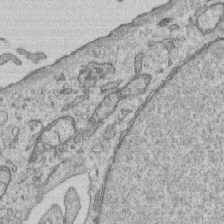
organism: Human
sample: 1205lu cells